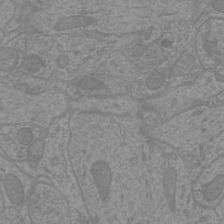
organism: Mouse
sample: Cortical neurons